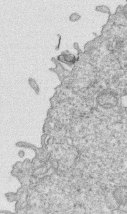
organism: Human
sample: HeLa cell HIV synapse